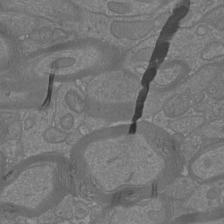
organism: Mouse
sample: Cortical neurons